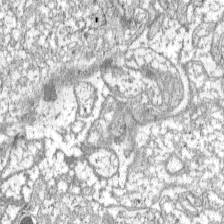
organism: C57BL Mouse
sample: Pancreatic islet